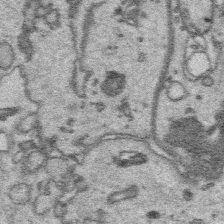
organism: Platynereis dumerilii